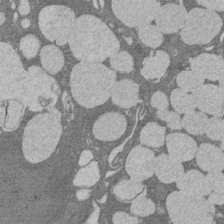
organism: Rat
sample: Salivary granule